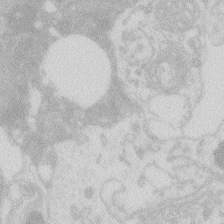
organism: Zebrafish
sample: Macrophage